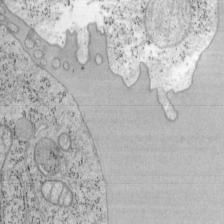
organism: Mouse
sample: OT-I killer T cells with ID8 ovarian cancer cells